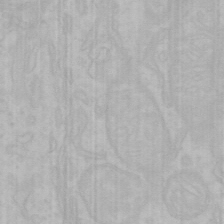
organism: Mouse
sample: Choroid plexus